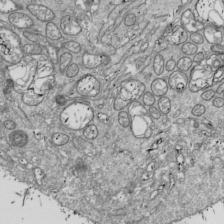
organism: Drosophila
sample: Cell division; meiosis; drosophila spermatocytes